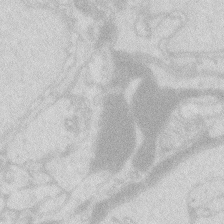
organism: Zebrafish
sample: Macrophage